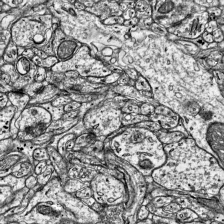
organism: Mouse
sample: Visual Cortex